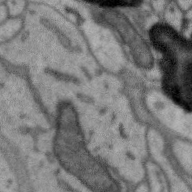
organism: Zebra finch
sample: Brain